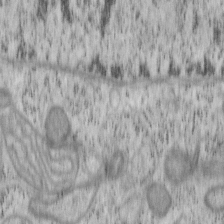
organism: Human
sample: HeLa cells